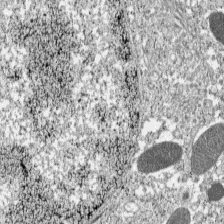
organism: C57BL Mouse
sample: Pancreatic islet